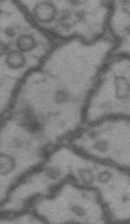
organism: Drosophila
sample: Brain